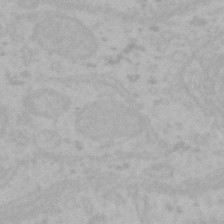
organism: Mouse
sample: Choroid plexus